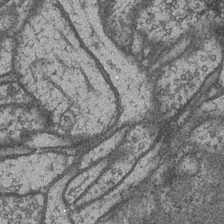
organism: Drosophila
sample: Optic medulla